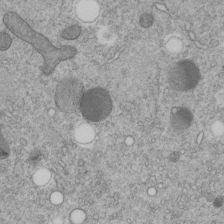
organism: C. elegans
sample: C. elegans embryo early stage